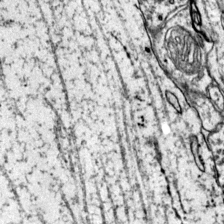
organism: Mouse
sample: Primary visual cortex